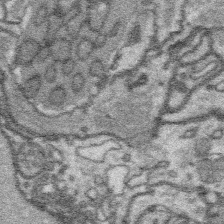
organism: Platynereis dumerilii